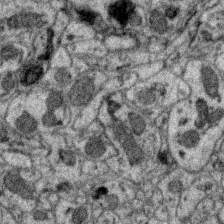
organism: Zebra finch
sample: Brain